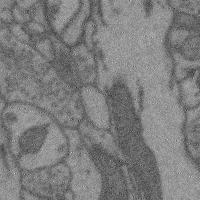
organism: Mouse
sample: Cerebral cortex